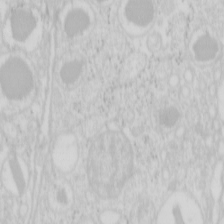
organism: Mouse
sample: Pancreas